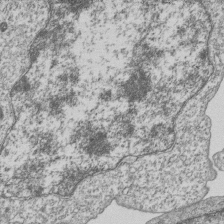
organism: Human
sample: MDA-MB-231 cells